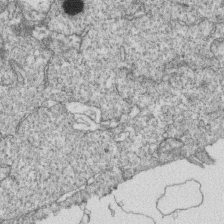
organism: Human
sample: HeLa cell HIV synapse